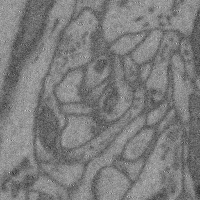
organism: Mouse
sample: Cerebral cortex